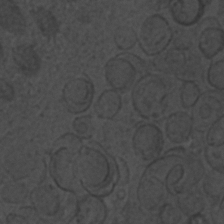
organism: C. elegans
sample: C. elegans embryo